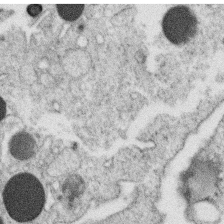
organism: C. elegans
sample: C. elegans oocyte; sperm cells